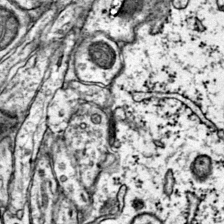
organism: Mouse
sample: Primary visual cortex